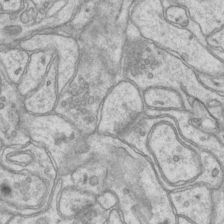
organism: Mouse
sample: CA1 Hippocampus